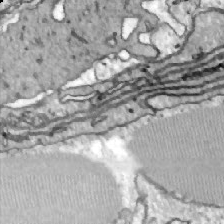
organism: Zebrafish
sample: Actinotrichia fibers